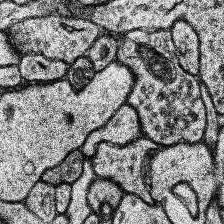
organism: Human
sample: Temporal Lobe